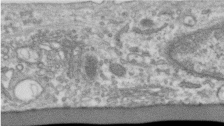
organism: Human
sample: Centriole in RPE cells